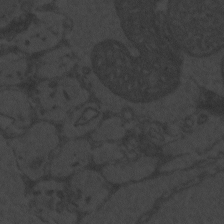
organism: Zebrafish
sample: Macrophage infected with Toxoplasma gondii